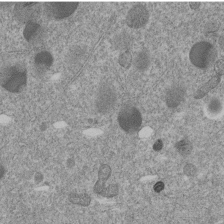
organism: C. elegans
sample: C. elegans embryo early stage